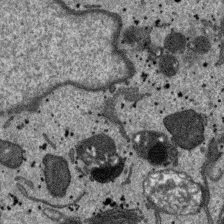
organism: Human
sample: Lung epithelial cells, uninfected (mock) control